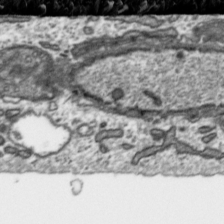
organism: Toxoplasma gondii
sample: Parasites in a vacuole inside a host cell